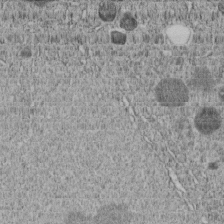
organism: C. elegans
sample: C. elegans embryo early stage